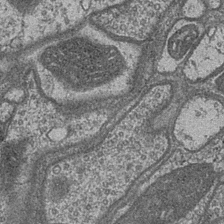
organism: Drosophila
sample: Optic medulla